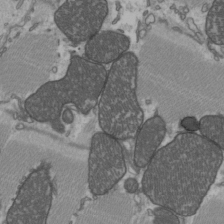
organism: C57BL Mouse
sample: Heart